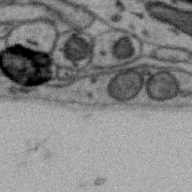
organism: Zebra finch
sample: Brain